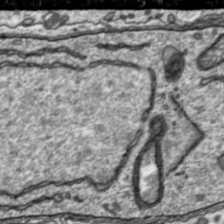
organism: Toxoplasma gondii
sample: Parasites in a vacuole inside a host cell